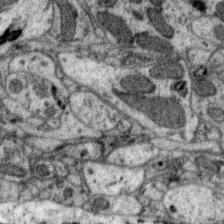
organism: Zebra finch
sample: Brain